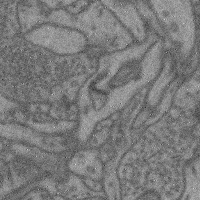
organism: Mouse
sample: Cerebral cortex